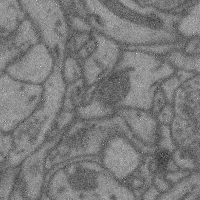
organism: Mouse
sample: Cerebral cortex